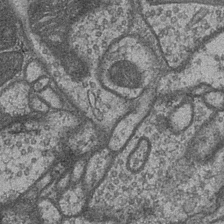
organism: Drosophila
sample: Optic medulla